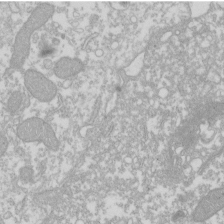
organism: Xenopus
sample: Cilia; centrioles in frog embryo cells